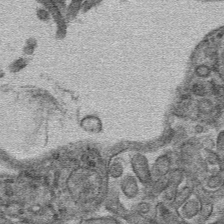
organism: Mouse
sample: Mouse hepatocytes